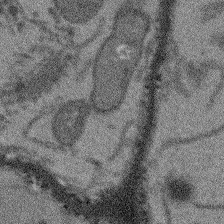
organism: Arabidopsis thaliana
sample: Root tip